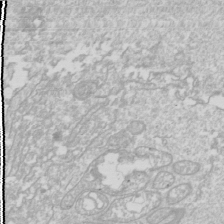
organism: Drosophila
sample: Cell division; meiosis; drosophila spermatocytes